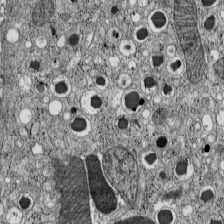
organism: C57BL Mouse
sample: Pancreatic islet